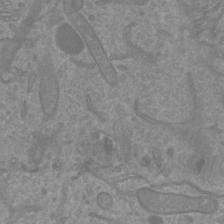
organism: Mouse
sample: Cortical neurons